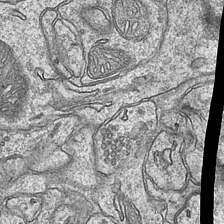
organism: Mouse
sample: CA1 Hippocampus